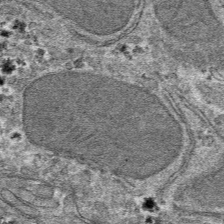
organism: Mouse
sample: Mouse hepatocytes